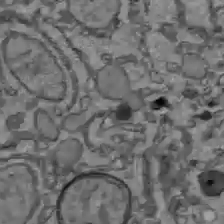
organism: C57BL Mouse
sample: Liver